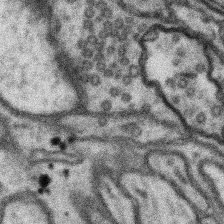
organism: Mouse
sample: Somatosensory cortex neuropil